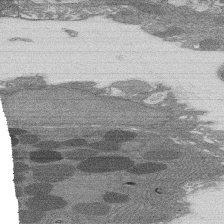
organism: Rat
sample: Salivary granule